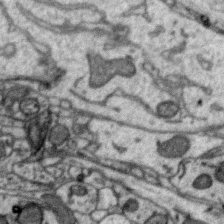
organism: Zebra finch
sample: Brain